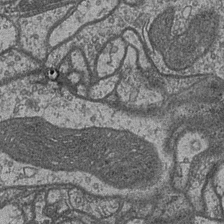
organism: Drosophila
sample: Optic medulla